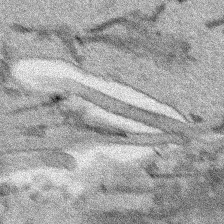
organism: Human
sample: Mitochondria in HCT116 cells